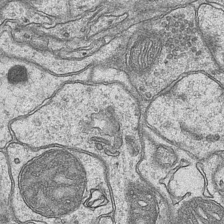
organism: Mouse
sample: CA1 Hippocampus